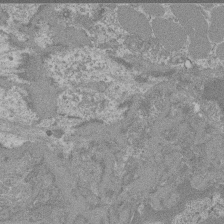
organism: Mouse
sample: Glomerulus